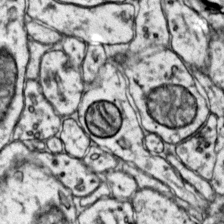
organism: Mouse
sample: Primary visual cortex